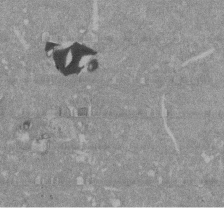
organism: Mouse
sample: ED-1 cell nuclei; centrioles